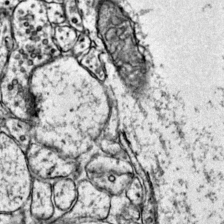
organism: Mouse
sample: Primary visual cortex